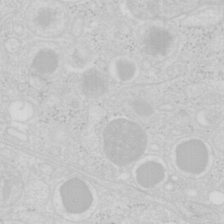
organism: Mouse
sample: Pancreas